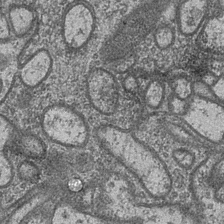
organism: Drosophila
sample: Optic medulla